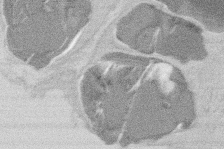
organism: Mouse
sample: T cell stromal cell synapse